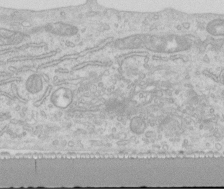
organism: Human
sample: Centriole in RPE cells